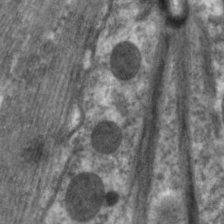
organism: C. elegans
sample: Pharynx